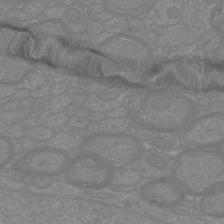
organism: Mouse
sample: Cortical neurons